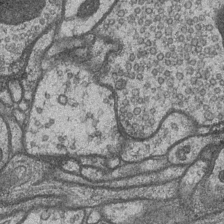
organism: Drosophila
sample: Optic medulla